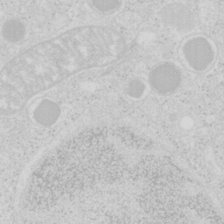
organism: Mouse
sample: Pancreas